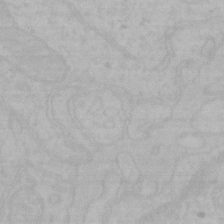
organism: Mouse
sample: Choroid plexus